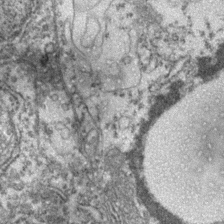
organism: Zebrafish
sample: Zebrafish embryo